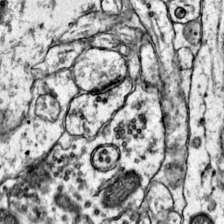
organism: Mouse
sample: Primary visual cortex